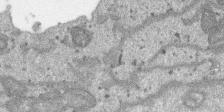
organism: Human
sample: Lung epithelial cells infected with SARS-CoV-2